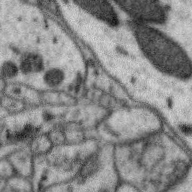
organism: Zebra finch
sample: Brain